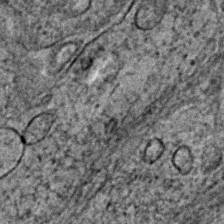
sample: Trachea